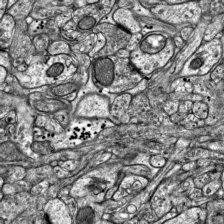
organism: Mouse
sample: Visual Cortex